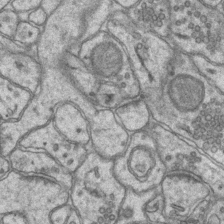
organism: Mouse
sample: CA1 Hippocampus